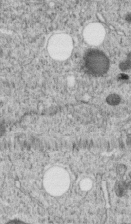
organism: C. elegans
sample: C. elegans embryo early stage